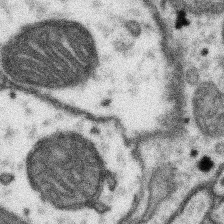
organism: Mouse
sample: Somatosensory cortex neuropil